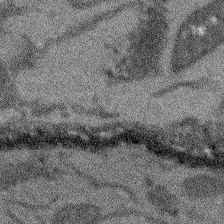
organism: Arabidopsis thaliana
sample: Root tip